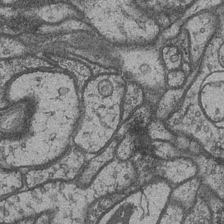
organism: Drosophila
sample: Optic medulla